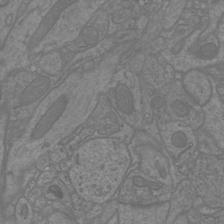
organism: Mouse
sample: Cortical neurons